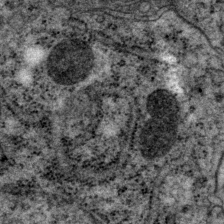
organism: P. pacificus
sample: Pharynx